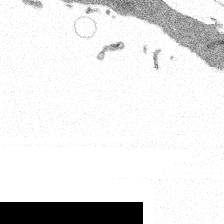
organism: Spongilla lacustris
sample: Multiple